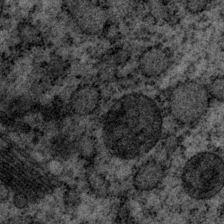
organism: P. pacificus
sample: Pharynx